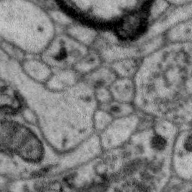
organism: Zebra finch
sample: Brain